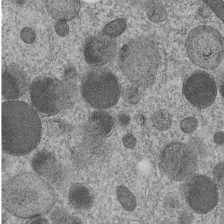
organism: C. elegans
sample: C. elegans embryo early stage